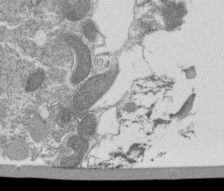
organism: Tetrahymena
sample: Cilia in tetrahymena